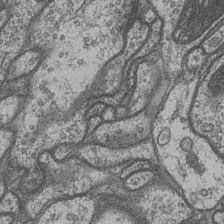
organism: Drosophila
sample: Optic medulla